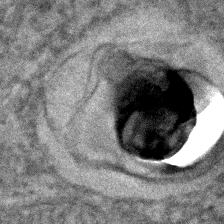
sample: Kidney